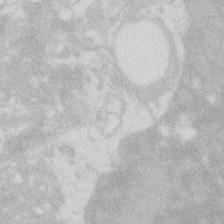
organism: Zebrafish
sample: Macrophage